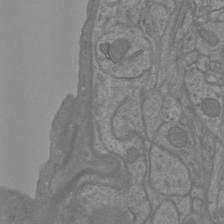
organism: Mouse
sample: Cortical neurons